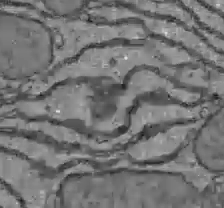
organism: C57BL Mouse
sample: Liver